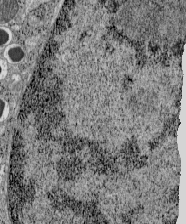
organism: C57BL Mouse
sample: Pancreatic islet